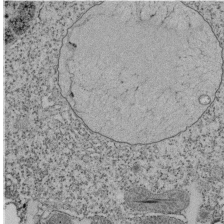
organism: Tetrahymena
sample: Cilia in tetrahymena